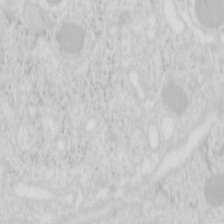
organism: Mouse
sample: Pancreas